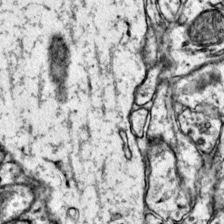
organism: Mouse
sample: Primary visual cortex